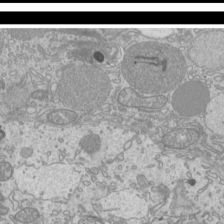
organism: Mouse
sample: Cilia; mouse epididymis